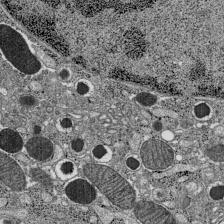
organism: C57BL Mouse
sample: Pancreatic islet